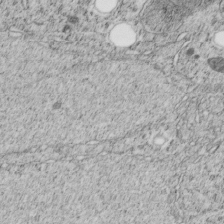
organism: C. elegans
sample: C. elegans embryo early stage